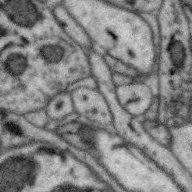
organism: Zebra finch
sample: Brain